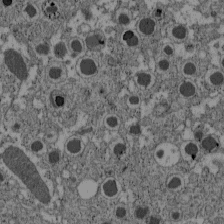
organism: C57BL Mouse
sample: Pancreatic islet